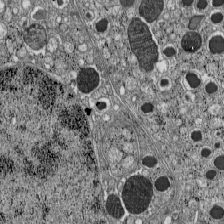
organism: C57BL Mouse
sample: Pancreatic islet